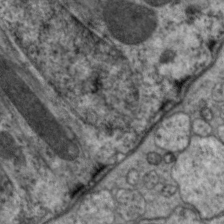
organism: C. elegans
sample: Pharynx